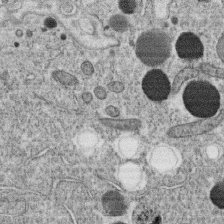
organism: C. elegans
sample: C. elegans oocyte; sperm cells